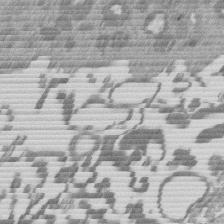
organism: Mouse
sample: Dividing mouse embryo 1 cell stage